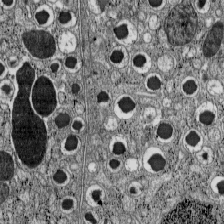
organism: C57BL Mouse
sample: Pancreatic islet